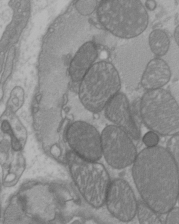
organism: C57BL Mouse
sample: Heart